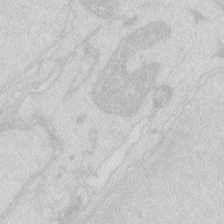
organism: Zebrafish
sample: Macrophage